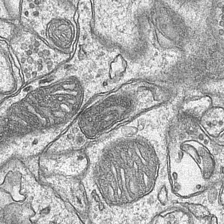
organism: Mouse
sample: CA1 Hippocampus